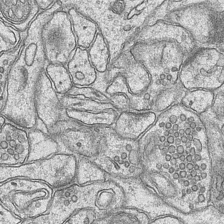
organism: Mouse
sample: CA1 Hippocampus